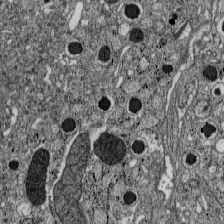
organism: C57BL Mouse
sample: Pancreatic islet